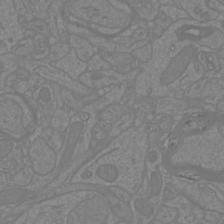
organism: Mouse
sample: Cortical neurons